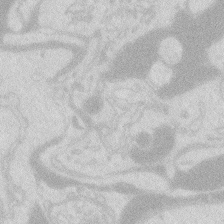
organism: Zebrafish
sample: Macrophage